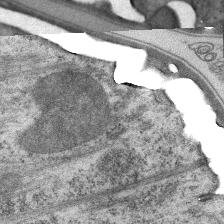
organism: C. elegans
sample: Pharynx